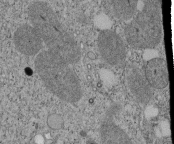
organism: Tetrahymena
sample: Cilia in tetrahymena